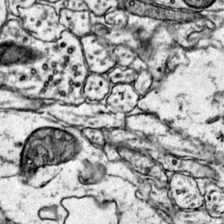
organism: Mouse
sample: Primary visual cortex